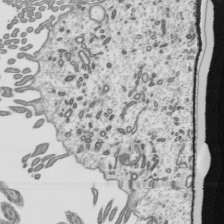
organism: Mouse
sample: Mouse epididymis efferent ductule cilia